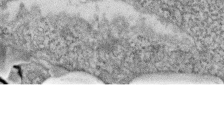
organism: Zebrafish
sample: Cilia; retinal pigment epithelium